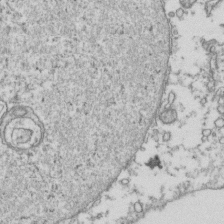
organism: Human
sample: Activated Jurkat CD4+ T cells